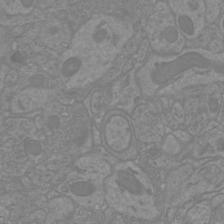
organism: Mouse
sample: Cortical neurons